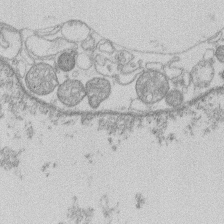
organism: Human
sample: Macrophage cells